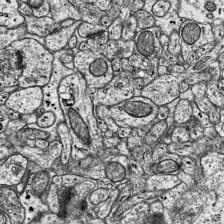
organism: Mouse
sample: Visual Cortex